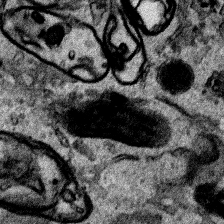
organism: Human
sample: Mitochondria in HCT116 cells